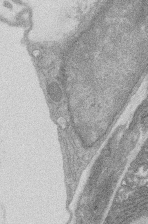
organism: Rat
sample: Salivary granule